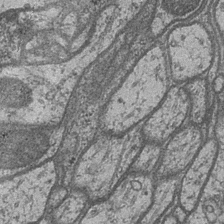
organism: Drosophila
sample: Optic medulla